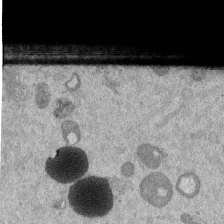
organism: Mouse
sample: Dividing mouse embryo 1 cell stage